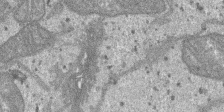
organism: Human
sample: Lung epithelial cells infected with SARS-CoV-2